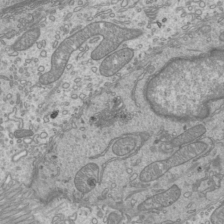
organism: Mouse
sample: Cilia; mouse epididymis